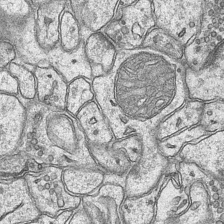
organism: Mouse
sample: CA1 Hippocampus